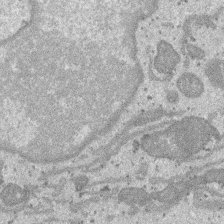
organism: Human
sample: Lung epithelial cells infected with SARS-CoV-2